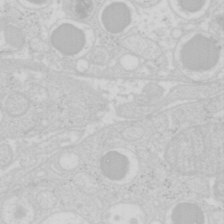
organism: Mouse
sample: Pancreas